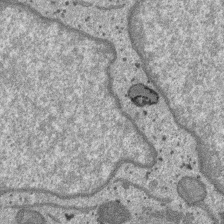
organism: Human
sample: Lung epithelial cells infected with SARS-CoV-2